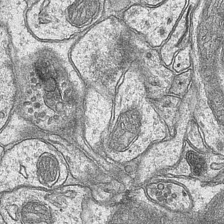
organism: Mouse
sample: CA1 Hippocampus